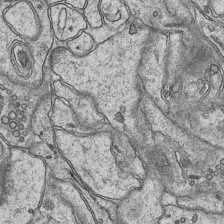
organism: Mouse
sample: CA1 Hippocampus